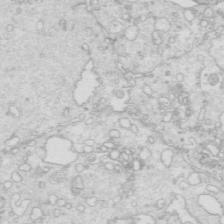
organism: Mouse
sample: Multiciliated cells